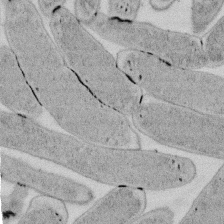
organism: E. coli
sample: Bacterial nucleoid